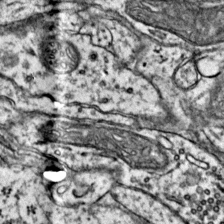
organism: Mouse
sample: Primary visual cortex